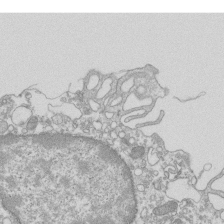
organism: Mouse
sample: Macrophages